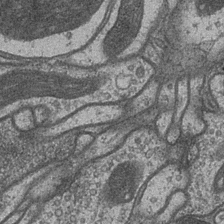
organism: Drosophila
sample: Optic medulla